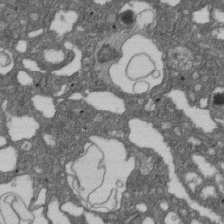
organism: Drosophila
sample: Nephrocyte